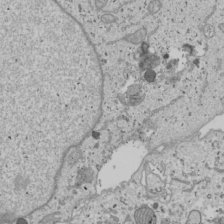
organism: Human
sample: Mitochondria in U2OS cells